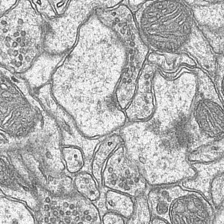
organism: Mouse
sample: CA1 Hippocampus